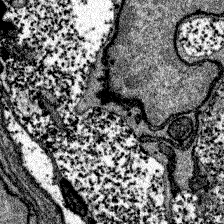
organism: Zebrafish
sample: Larval olfactory bulb